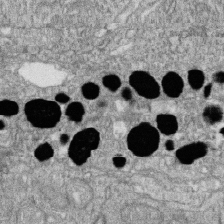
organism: Zebrafish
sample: Cilia; retinal pigment epithelium